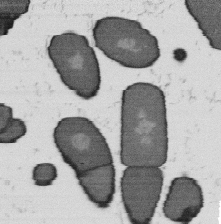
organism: B. subtilis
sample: Bacterial spore